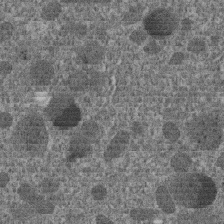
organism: C. elegans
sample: C. elegans embryo early stage